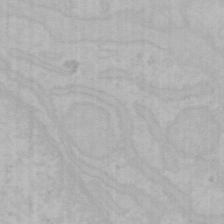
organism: Mouse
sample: Choroid plexus